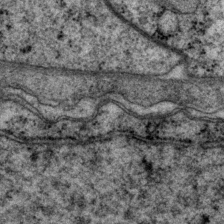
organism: P. pacificus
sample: Pharynx